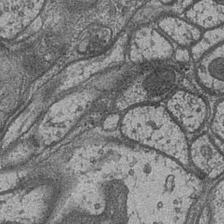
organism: Drosophila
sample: Optic medulla